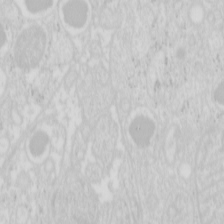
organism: Mouse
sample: Pancreas